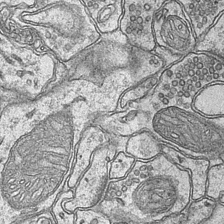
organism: Mouse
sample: CA1 Hippocampus